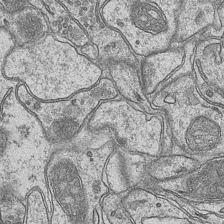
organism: Mouse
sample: CA1 Hippocampus